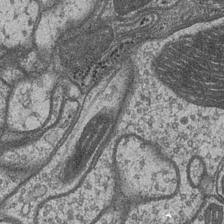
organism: Drosophila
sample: Optic medulla